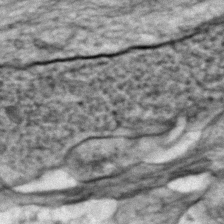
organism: Zebrafish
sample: Zebrafish embryo